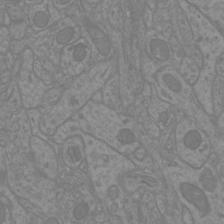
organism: Mouse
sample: Cortical neurons